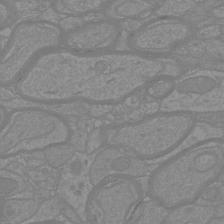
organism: Mouse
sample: Cortical neurons